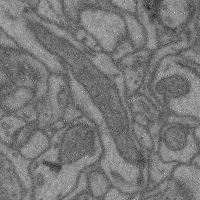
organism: Mouse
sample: Cerebral cortex